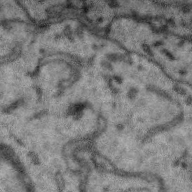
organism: Zebra finch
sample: Brain